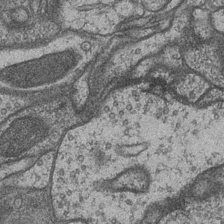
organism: Drosophila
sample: Optic medulla